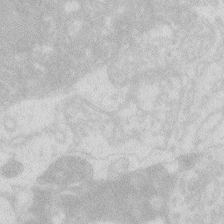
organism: Zebrafish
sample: Macrophage